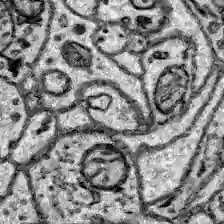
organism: Zebrafish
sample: Brain